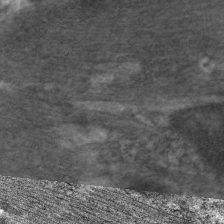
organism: C. elegans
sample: Pharynx